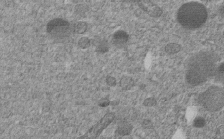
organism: C. elegans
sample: C. elegans embryo early stage